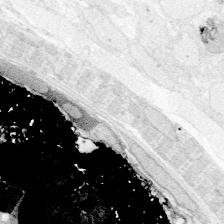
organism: Zebrafish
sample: Whole-Brain